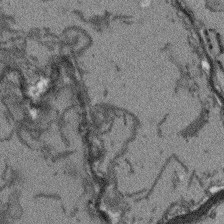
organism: Arabidopsis thaliana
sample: Root tip